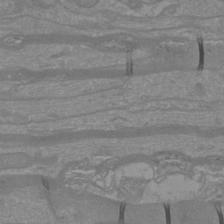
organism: Mouse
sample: Cortical neurons